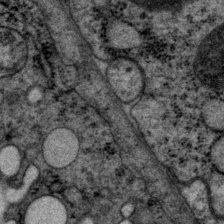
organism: P. pacificus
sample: Pharynx